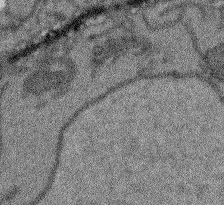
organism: Arabidopsis thaliana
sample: Root tip